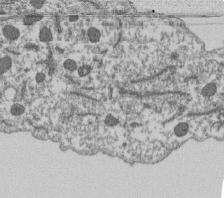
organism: Dictyostelium discoideum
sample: Dictyostelium multivesicular bodies